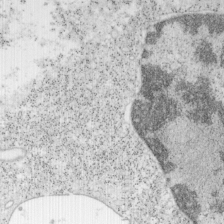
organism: Mouse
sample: OT-I killer T cells with ID8 ovarian cancer cells